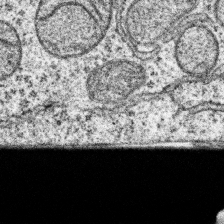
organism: Human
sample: HeLa cells